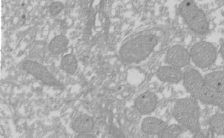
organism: Xenopus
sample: Cilia; centrioles in frog embryo cells